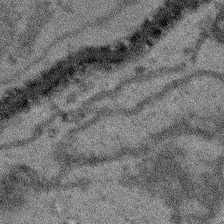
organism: Arabidopsis thaliana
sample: Root tip